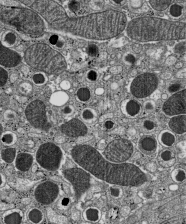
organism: C57BL Mouse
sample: Pancreatic islet